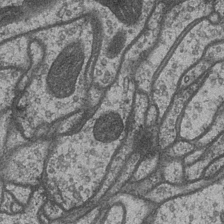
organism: Drosophila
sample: Optic medulla